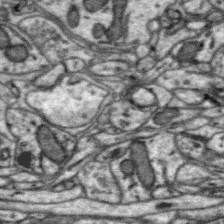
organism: Zebra finch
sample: Brain